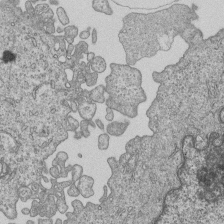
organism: Human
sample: MDA-MB-231 cells